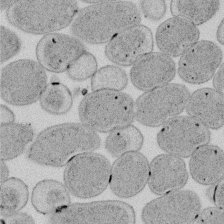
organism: E. coli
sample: Bacterial nucleoid